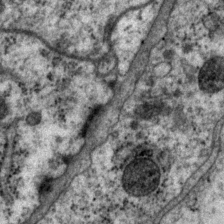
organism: P. pacificus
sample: Pharynx